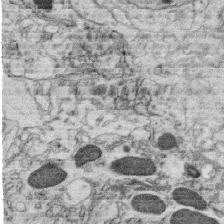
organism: C. elegans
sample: C. elegans oocyte; sperm cells